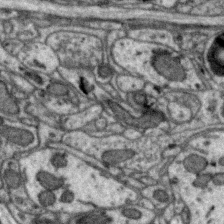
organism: Zebra finch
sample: Brain